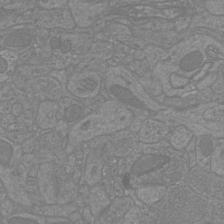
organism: Mouse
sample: Cortical neurons